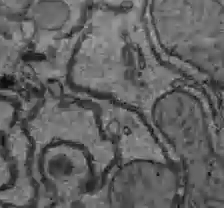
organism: C57BL Mouse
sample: Liver